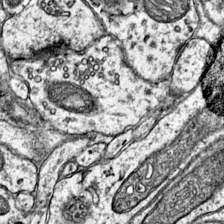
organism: Mouse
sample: Primary visual cortex